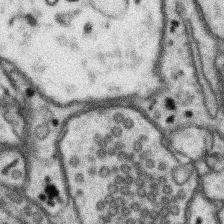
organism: Mouse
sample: Somatosensory cortex neuropil